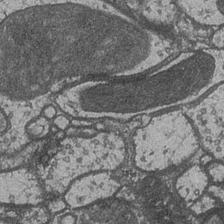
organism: Drosophila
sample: Optic medulla